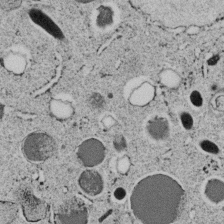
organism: C. elegans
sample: C. elegans embryo early stage